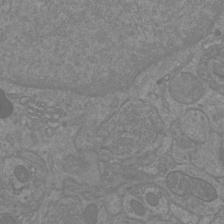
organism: Mouse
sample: Cortical neurons